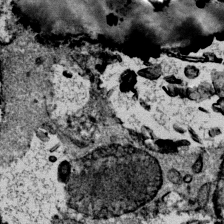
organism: Mouse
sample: Mouse Salivary gland